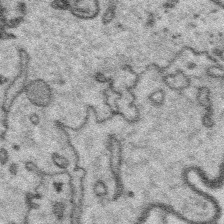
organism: Platynereis dumerilii